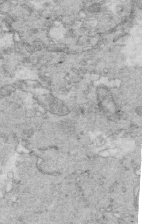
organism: Mouse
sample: Multiciliated cells